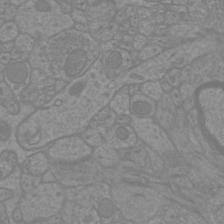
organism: Mouse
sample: Cortical neurons